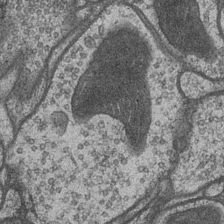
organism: Drosophila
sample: Optic medulla